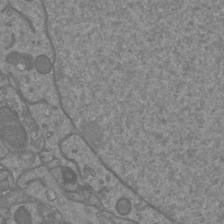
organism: Mouse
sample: Cortical neurons